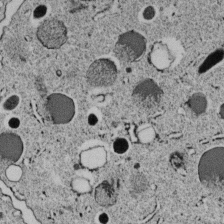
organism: C. elegans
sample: C. elegans embryo early stage